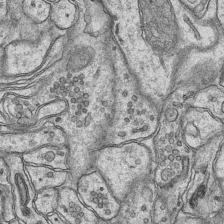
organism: Mouse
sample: CA1 Hippocampus